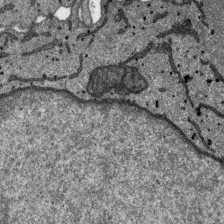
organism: Human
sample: Lung epithelial cells, uninfected (mock) control